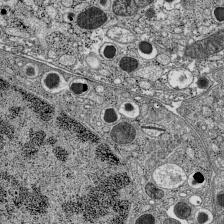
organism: C57BL Mouse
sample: Pancreatic islet